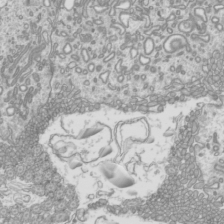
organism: Mouse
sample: Cilia; mouse epididymis